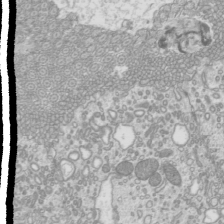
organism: Mouse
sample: Cilia; mouse epididymis